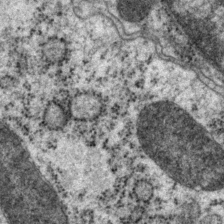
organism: P. pacificus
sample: Pharynx